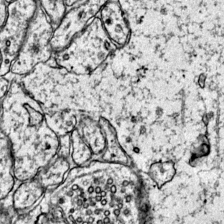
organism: Mouse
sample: Primary visual cortex